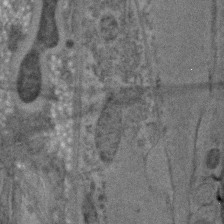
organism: C. elegans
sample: C. elegans embryo